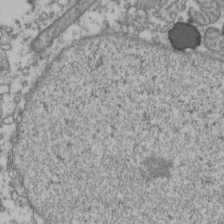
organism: Human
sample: Activated Jurkat CD4+ T cells